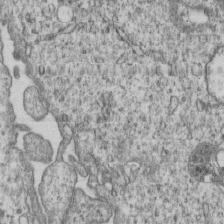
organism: Human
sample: MDA-MB-231 cells